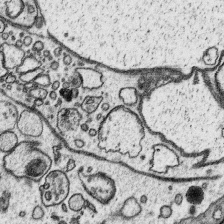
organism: Platynereis dumerilii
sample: Parapodia